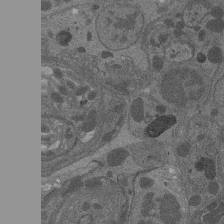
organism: Drosophila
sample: Antenna